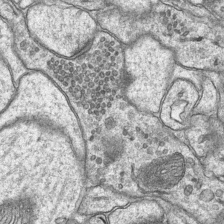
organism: Mouse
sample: CA1 Hippocampus